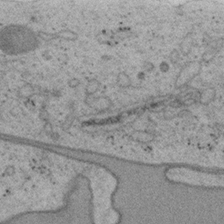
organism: Human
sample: HeLa cells